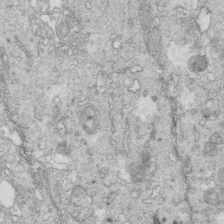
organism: Mouse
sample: Multiciliated cells